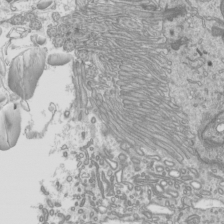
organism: Mouse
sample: Cilia; mouse epididymis